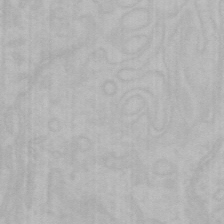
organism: Mouse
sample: Choroid plexus